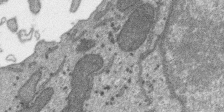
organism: Human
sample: Lung epithelial cells infected with SARS-CoV-2